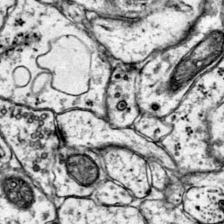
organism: Mouse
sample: Primary visual cortex